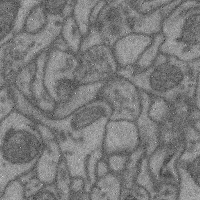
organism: Mouse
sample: Cerebral cortex